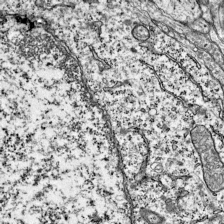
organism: Mouse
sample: Visual Cortex